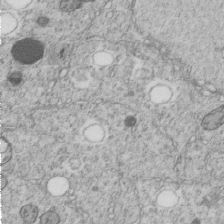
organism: C. elegans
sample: C. elegans embryo early stage